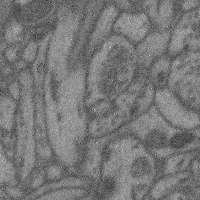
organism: Mouse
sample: Cerebral cortex